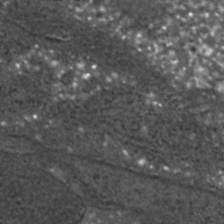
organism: C. elegans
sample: C. elegans embryo